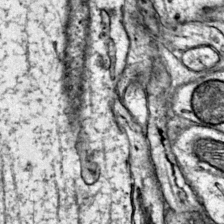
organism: Mouse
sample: Primary visual cortex